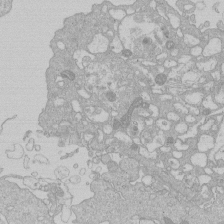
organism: Human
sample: Macrophage cells